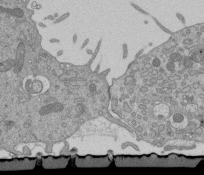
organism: Mouse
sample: ED-1 cell nuclei; centrioles